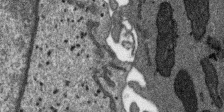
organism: Human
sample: Lung epithelial cells infected with SARS-CoV-2